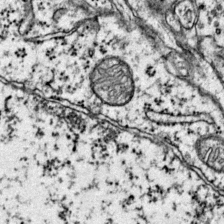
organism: Mouse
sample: Primary visual cortex